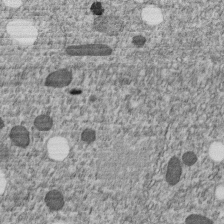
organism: C. elegans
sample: C. elegans embryo early stage